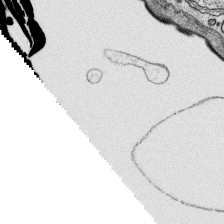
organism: Platynereis dumerilii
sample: Parapodia